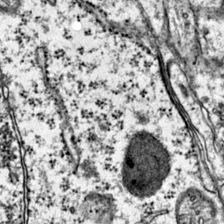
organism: Mouse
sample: Primary visual cortex